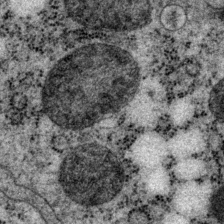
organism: P. pacificus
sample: Pharynx